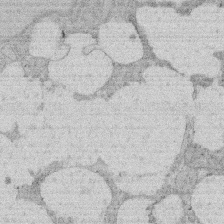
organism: Rat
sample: Salivary granule